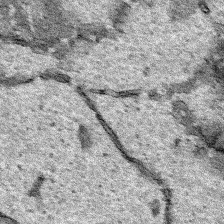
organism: Human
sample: Mitochondria in HCT116 cells